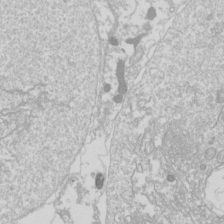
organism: Drosophila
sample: Cell division; meiosis; drosophila spermatocytes